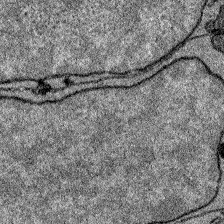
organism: Zebrafish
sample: Larval olfactory bulb